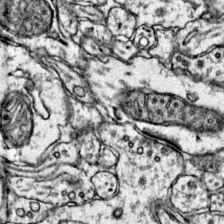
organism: Mouse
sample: Primary visual cortex